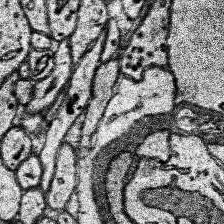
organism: Human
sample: Temporal Lobe